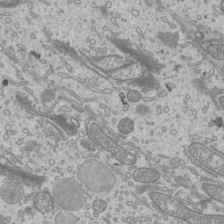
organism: Mouse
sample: Cilia; mouse epididymis